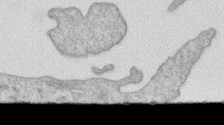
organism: Human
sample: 1205lu cells